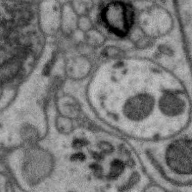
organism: Zebra finch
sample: Brain